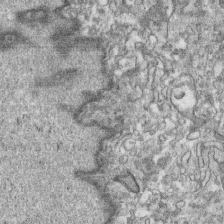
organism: Human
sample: CRL-1474